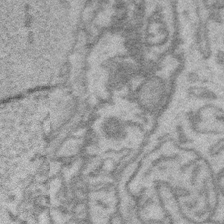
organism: Platynereis dumerilii